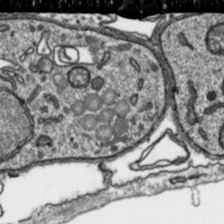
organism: Toxoplasma gondii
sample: Parasites in a vacuole inside a host cell